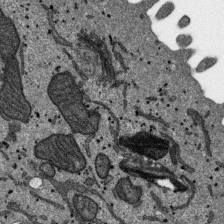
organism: Human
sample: Lung epithelial cells, uninfected (mock) control